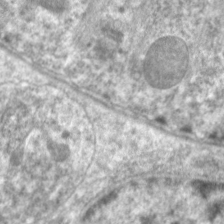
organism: C. elegans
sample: Pharynx